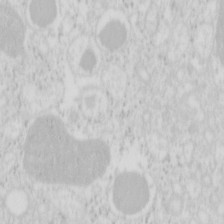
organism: Mouse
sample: Pancreas